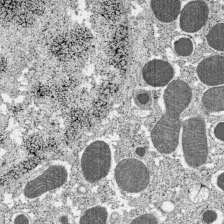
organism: C57BL Mouse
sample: Pancreatic islet